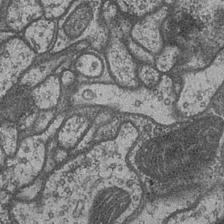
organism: Drosophila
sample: Optic medulla